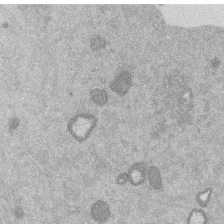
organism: Mouse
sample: Dividing mouse embryo 1 cell stage